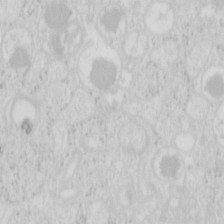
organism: Mouse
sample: Pancreas